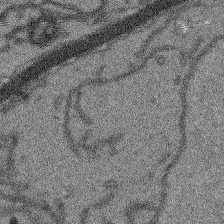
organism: Arabidopsis thaliana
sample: Root tip